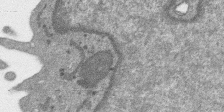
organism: Human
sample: Lung epithelial cells infected with SARS-CoV-2